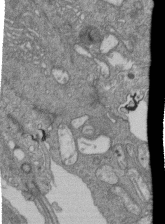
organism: Human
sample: Retinal organoid Rod and Cone cells